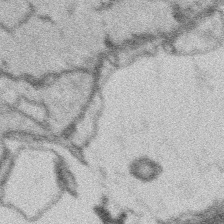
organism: Platynereis dumerilii